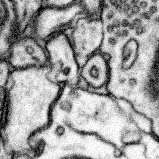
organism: Mouse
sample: Somatosensory cortex neuropil